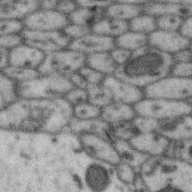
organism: Zebra finch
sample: Brain